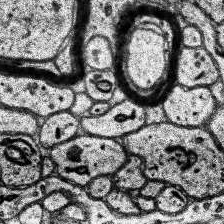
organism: Human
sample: Temporal Lobe